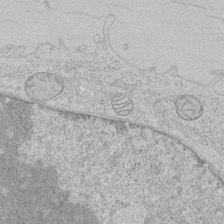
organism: Human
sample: Mitochondria in HCT116 cells